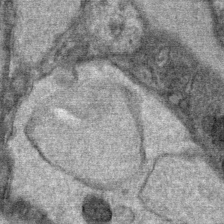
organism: Mouse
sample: Mouse Salivary gland